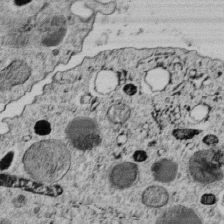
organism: C. elegans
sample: C. elegans embryo early stage